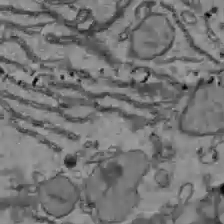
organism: C57BL Mouse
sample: Liver